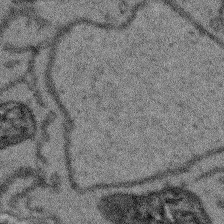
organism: Arabidopsis thaliana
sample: Root tip